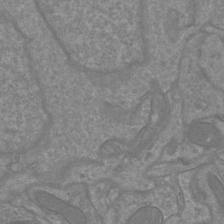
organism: Mouse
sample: Cortical neurons